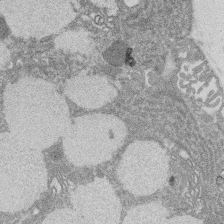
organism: Rat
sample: Salivary granule